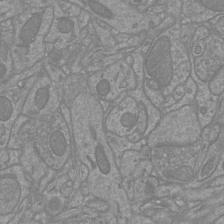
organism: Mouse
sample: Cortical neurons